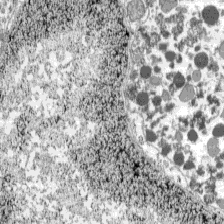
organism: C57BL Mouse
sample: Pancreatic islet